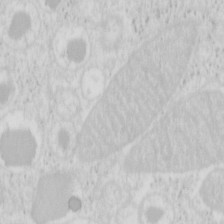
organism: Mouse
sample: Pancreas